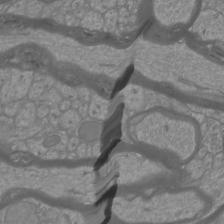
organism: Mouse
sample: Cortical neurons